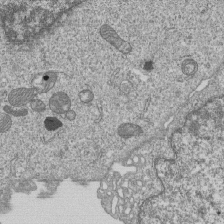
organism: Human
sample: MDA-MB-231 cells